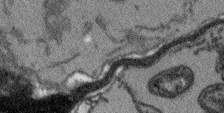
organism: Arabidopsis thaliana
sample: Root tip